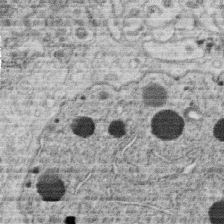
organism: C. elegans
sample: C. elegans oocyte; sperm cells